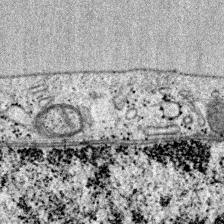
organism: Human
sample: HeLa cells